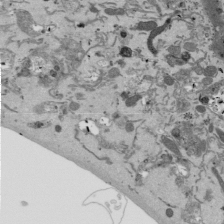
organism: Mouse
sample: ED-1 cell nuclei; centrioles